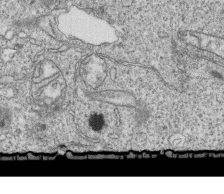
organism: Human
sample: HeLa cell HIV synapse